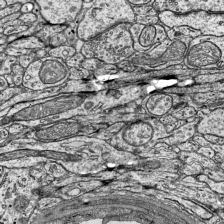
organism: Mouse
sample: Visual Cortex